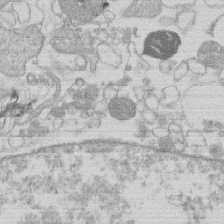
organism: Human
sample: Macrophage cells